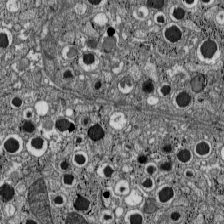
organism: C57BL Mouse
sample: Pancreatic islet